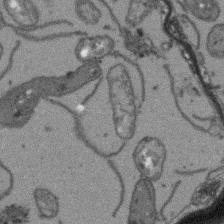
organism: Arabidopsis thaliana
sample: Root tip